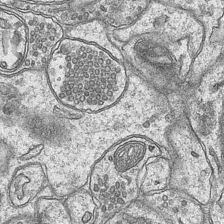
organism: Mouse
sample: CA1 Hippocampus